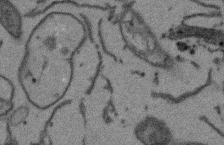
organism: Arabidopsis thaliana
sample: Root tip